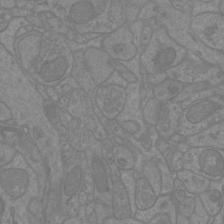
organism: Mouse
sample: Cortical neurons